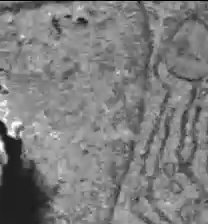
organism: C57BL Mouse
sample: Liver